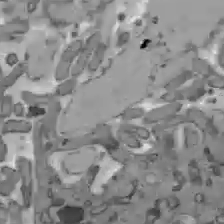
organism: C57BL Mouse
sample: Liver